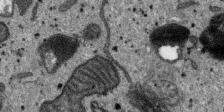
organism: Human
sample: Lung epithelial cells, uninfected (mock) control